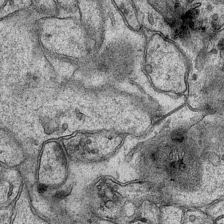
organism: Mouse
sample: CA1 Hippocampus